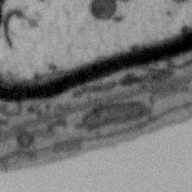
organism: Zebra finch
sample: Brain